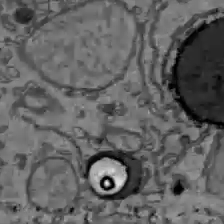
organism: C57BL Mouse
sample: Liver